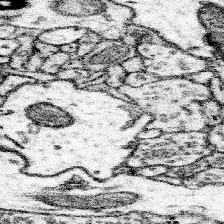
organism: Mouse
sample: Somatosensory cortex neuropil